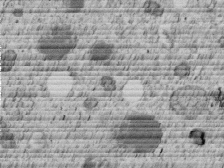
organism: C. elegans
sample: C. elegans embryo early stage